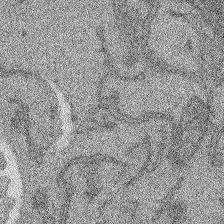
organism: Human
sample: HeLa cells